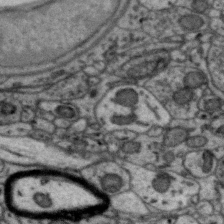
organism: Zebra finch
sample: Brain